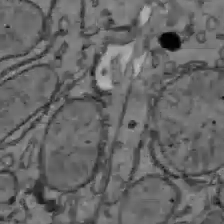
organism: C57BL Mouse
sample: Liver